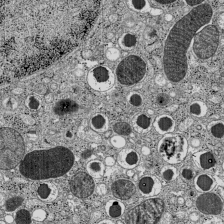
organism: C57BL Mouse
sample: Pancreatic islet